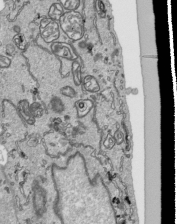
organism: Human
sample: Mitochondria in HCT116 cells